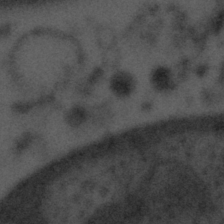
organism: Tuwongella immobilis